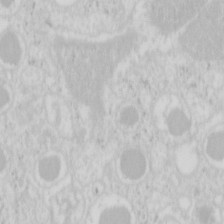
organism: Mouse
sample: Pancreas